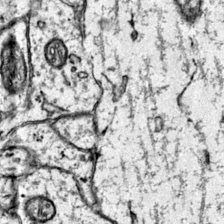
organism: Mouse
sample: Primary visual cortex